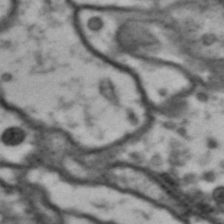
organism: Drosophila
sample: Brain